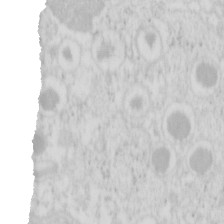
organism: Mouse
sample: Pancreas